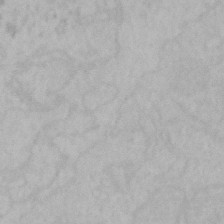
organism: Mouse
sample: Choroid plexus